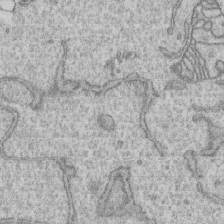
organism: Human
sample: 1205lu cells